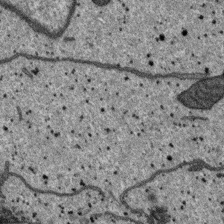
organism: Human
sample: Lung epithelial cells, uninfected (mock) control